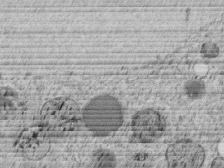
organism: C. elegans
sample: C. elegans embryo early stage